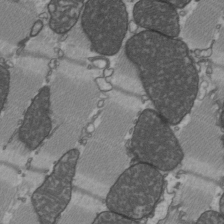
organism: C57BL Mouse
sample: Heart